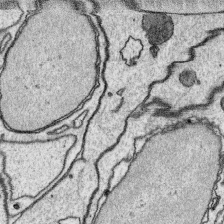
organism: Platynereis dumerilii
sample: Parapodia